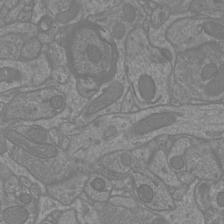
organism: Mouse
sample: Cortical neurons